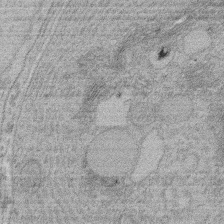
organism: Rat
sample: Salivary granule